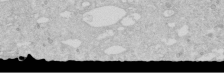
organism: Human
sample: Caco-2 cells